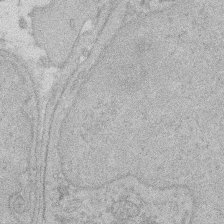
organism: Rat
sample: Salivary granule